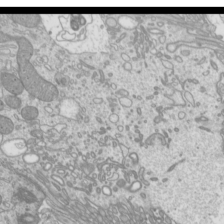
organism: Mouse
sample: Cilia; mouse epididymis